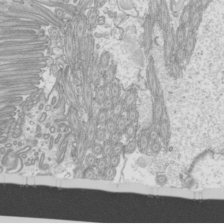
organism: Mouse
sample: Cilia; mouse epididymis